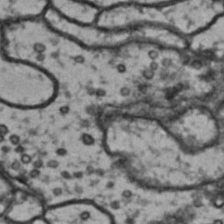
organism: Drosophila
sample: Brain